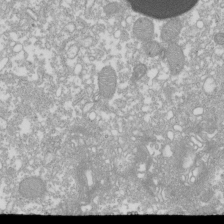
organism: Xenopus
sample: Cilia; centrioles in frog embryo cells